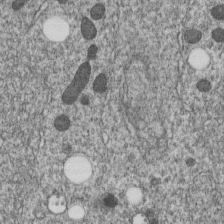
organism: C. elegans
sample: C. elegans embryo early stage